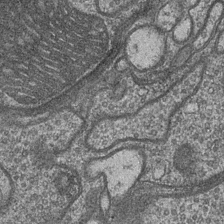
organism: Drosophila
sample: Optic medulla